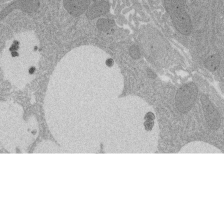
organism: Rat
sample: Salivary granule